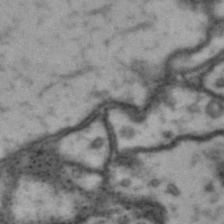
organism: Drosophila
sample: Brain